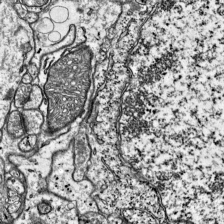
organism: Mouse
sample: Visual Cortex